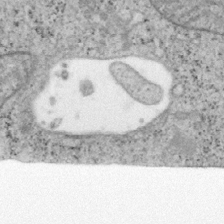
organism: Mouse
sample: OT-I killer T cells with ID8 ovarian cancer cells